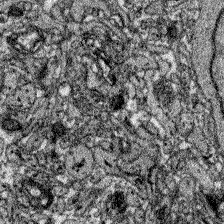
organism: Zebrafish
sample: Larval olfactory bulb